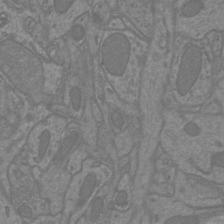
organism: Mouse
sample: Cortical neurons